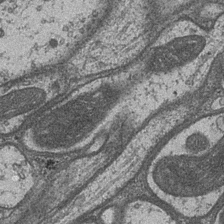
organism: Drosophila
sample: Optic medulla